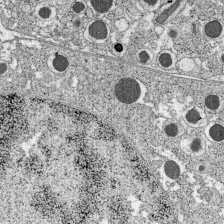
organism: C57BL Mouse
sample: Pancreatic islet